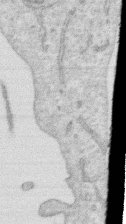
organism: Human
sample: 1205lu cells